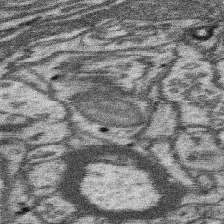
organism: Mouse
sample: Somatosensory cortex neuropil